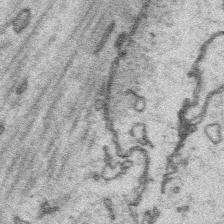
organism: Platynereis dumerilii